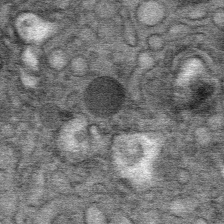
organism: Mouse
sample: Mouse Salivary gland